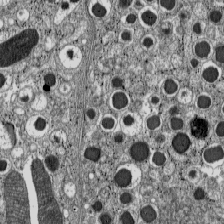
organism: C57BL Mouse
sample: Pancreatic islet